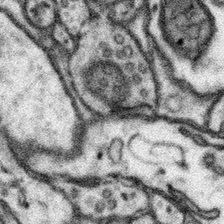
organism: Mouse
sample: Somatosensory cortex neuropil